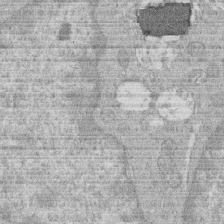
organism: Human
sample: Macrophage cells